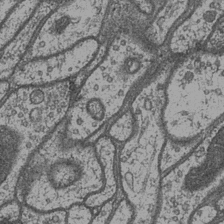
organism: Drosophila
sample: Optic medulla